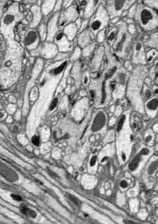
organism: Drosophila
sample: Optic lobe